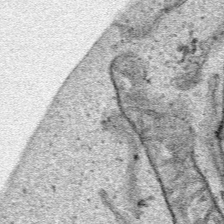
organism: Human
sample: Mitochondria in HCT116 cells